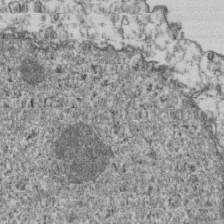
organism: Human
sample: Activated Jurkat CD4+ T cells